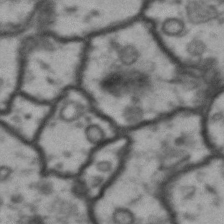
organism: Drosophila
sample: Brain